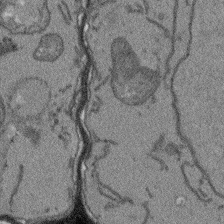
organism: Arabidopsis thaliana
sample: Root tip